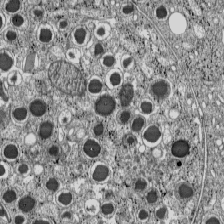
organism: C57BL Mouse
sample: Pancreatic islet